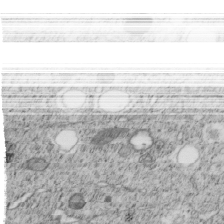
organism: C. elegans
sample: C. elegans embryo early stage